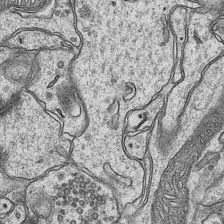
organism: Mouse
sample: CA1 Hippocampus